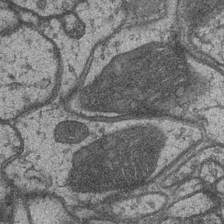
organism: Drosophila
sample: Optic medulla